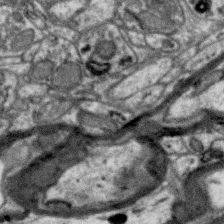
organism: Zebra finch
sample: Brain